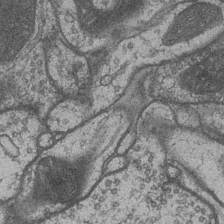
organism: Drosophila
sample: Optic medulla